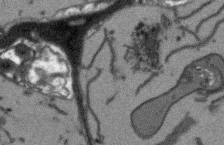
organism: Arabidopsis thaliana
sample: Root tip